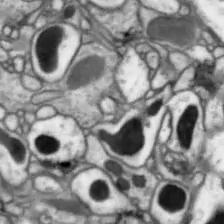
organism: Drosophila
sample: Optic lobe